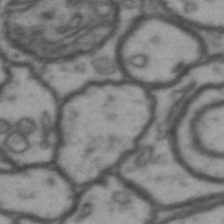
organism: Drosophila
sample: Brain